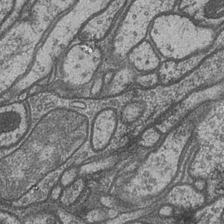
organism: Drosophila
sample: Optic medulla